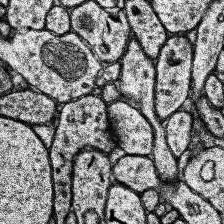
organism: Human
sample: Temporal Lobe